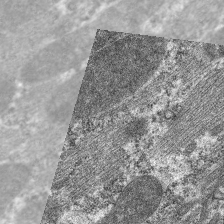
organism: C. elegans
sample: Pharynx